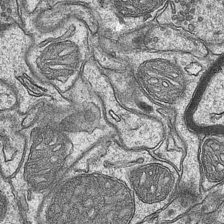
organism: Mouse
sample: CA1 Hippocampus